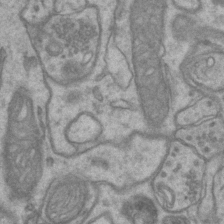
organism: Mouse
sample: CA1 Hippocampus